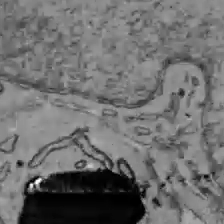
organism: C57BL Mouse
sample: Liver